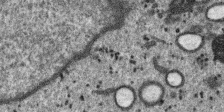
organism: Human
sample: Lung epithelial cells infected with SARS-CoV-2